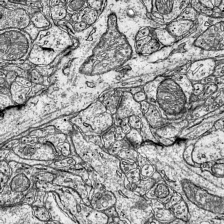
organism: Mouse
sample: Visual Cortex